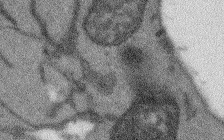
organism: Arabidopsis thaliana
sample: Root tip